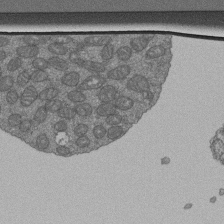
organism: Human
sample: Retinal organoid Rod and Cone cells